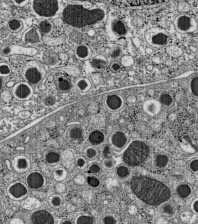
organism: C57BL Mouse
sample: Pancreatic islet